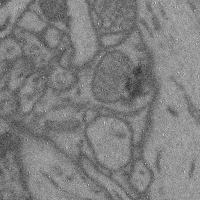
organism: Mouse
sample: Cerebral cortex